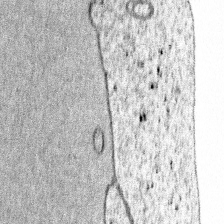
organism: Human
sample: HeLa cells